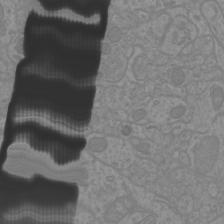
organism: Mouse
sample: Cortical neurons